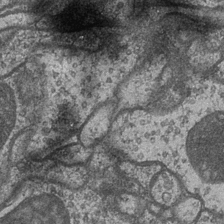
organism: Drosophila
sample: Optic medulla